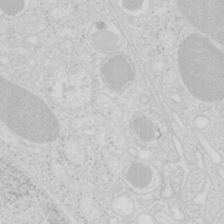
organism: Mouse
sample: Pancreas